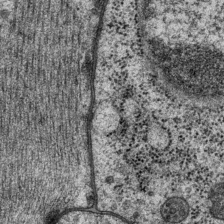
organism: P. pacificus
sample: Pharynx